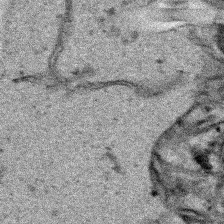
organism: Human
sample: Mitochondria in HCT116 cells